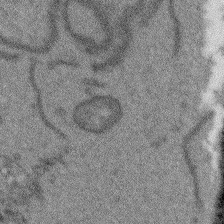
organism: Arabidopsis thaliana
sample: Root tip